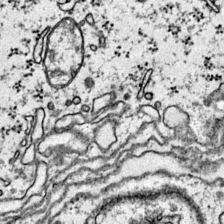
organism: Mouse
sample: Primary visual cortex